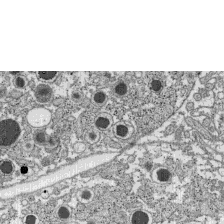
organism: C57BL Mouse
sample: Pancreatic islet